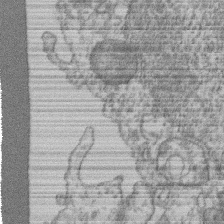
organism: Mouse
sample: T cell stromal cell synapse